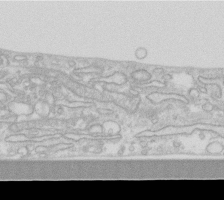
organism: Human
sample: Fibroblast cells